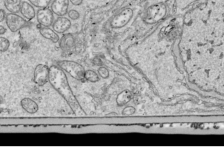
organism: Drosophila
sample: Cell division; meiosis; drosophila spermatocytes